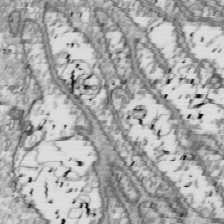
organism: Drosophila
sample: Cell division; meiosis; drosophila spermatocytes